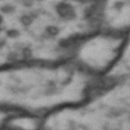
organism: Drosophila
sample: Brain